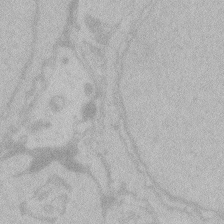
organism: Zebrafish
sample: Macrophage infected with Toxoplasma gondii